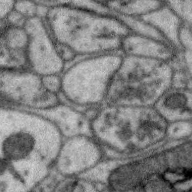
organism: Zebra finch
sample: Brain